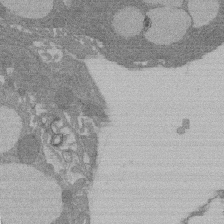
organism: Rat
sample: Salivary granule